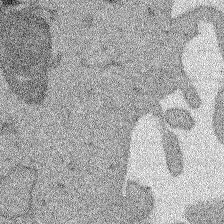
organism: Human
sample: HeLa cells